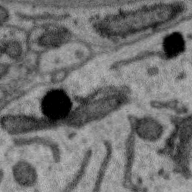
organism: Zebra finch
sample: Brain